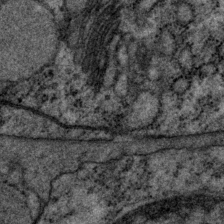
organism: P. pacificus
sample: Pharynx